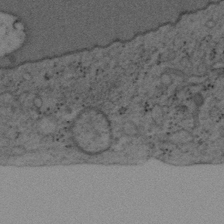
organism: Human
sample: HeLa cells